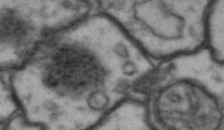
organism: Drosophila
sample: Brain